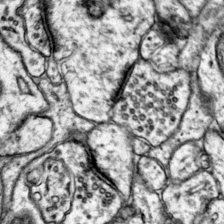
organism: Mouse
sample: Primary visual cortex